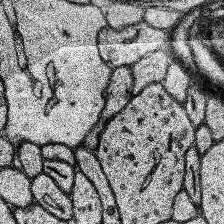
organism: Human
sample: Temporal Lobe